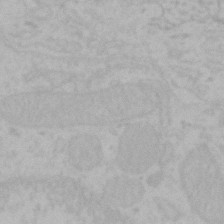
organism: Mouse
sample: Choroid plexus